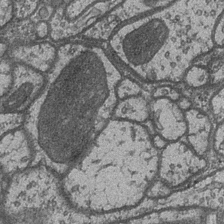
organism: Drosophila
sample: Optic medulla